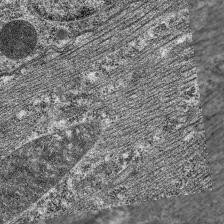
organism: C. elegans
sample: Pharynx